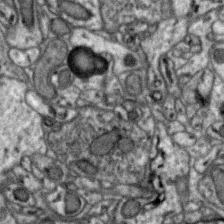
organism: Zebra finch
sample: Brain